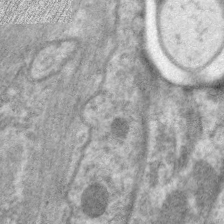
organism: C. elegans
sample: Pharynx